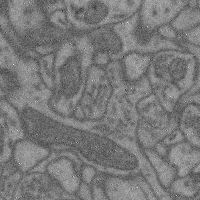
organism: Mouse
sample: Cerebral cortex